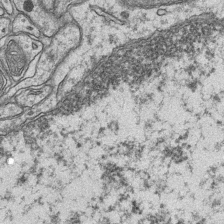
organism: Mouse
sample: CA1 Hippocampus